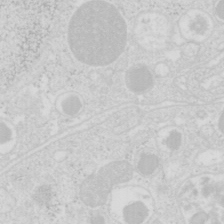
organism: Mouse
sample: Pancreas